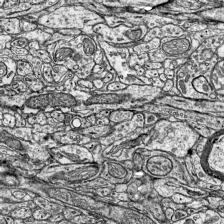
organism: Mouse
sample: Visual Cortex